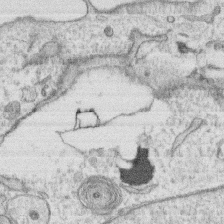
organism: Human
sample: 1205lu cells